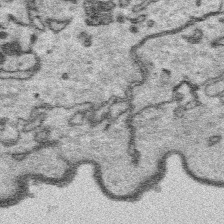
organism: Platynereis dumerilii